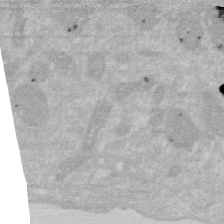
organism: Human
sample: HIV infected U937 cells